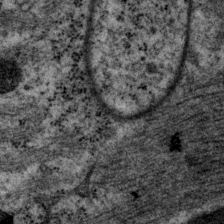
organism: P. pacificus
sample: Pharynx